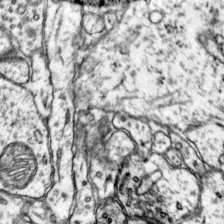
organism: Mouse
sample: Primary visual cortex